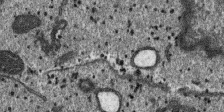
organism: Human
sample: Lung epithelial cells infected with SARS-CoV-2